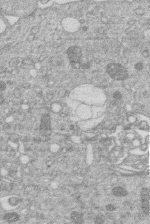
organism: Human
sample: Macrophage cells